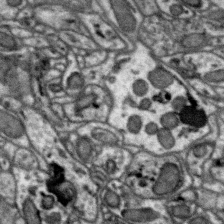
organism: Zebra finch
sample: Brain